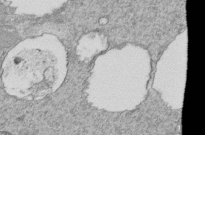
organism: Tetrahymena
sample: Cilia in tetrahymena